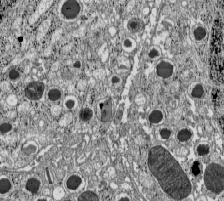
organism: C57BL Mouse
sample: Pancreatic islet